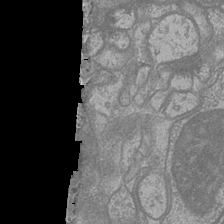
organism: Drosophila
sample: Optic medulla